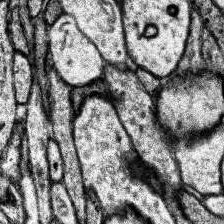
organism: Human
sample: Temporal Lobe